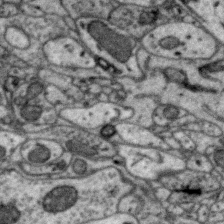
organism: Zebra finch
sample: Brain